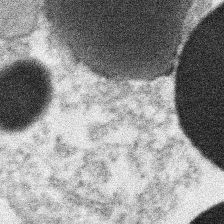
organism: Xenopus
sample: Cilia; centrioles in frog embryo cells